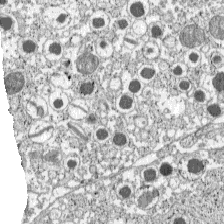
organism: C57BL Mouse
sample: Pancreatic islet